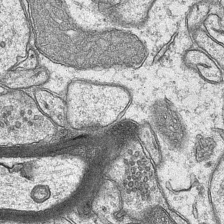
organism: Mouse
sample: CA1 Hippocampus